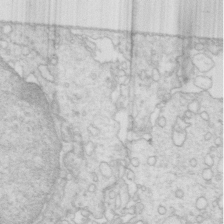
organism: Mouse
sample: Multiciliated cells